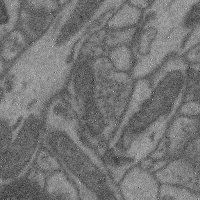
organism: Mouse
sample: Cerebral cortex